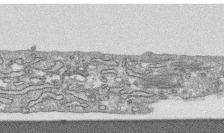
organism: Human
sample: CRL-1474